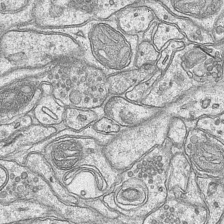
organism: Mouse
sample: CA1 Hippocampus